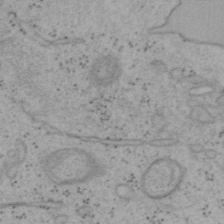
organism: Human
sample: HeLa cells